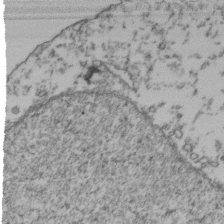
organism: Human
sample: Activated Jurkat CD4+ T cells